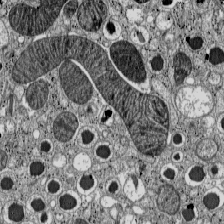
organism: C57BL Mouse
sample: Pancreatic islet